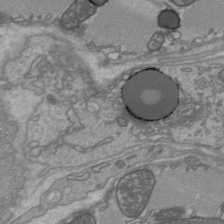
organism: C57BL Mouse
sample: Heart